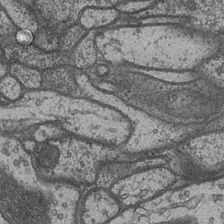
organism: Drosophila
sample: Optic medulla